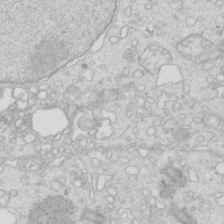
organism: Mouse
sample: Multiciliated cells